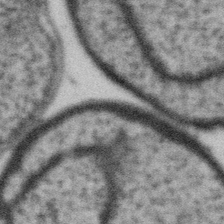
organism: Gemmata obscuriglobus